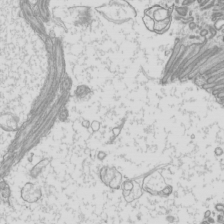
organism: Mouse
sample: Cilia; mouse epididymis